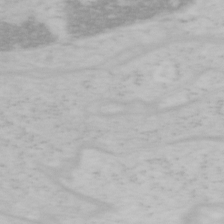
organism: Mouse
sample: OT-I killer T cells with ID8 ovarian cancer cells